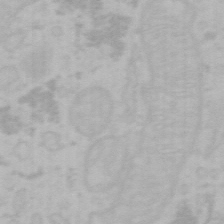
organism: Mouse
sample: Choroid plexus